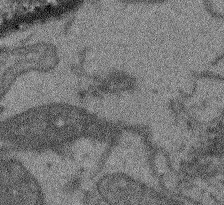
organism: Arabidopsis thaliana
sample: Root tip